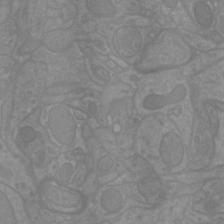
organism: Mouse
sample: Cortical neurons